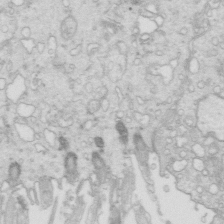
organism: Mouse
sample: Multiciliated cells